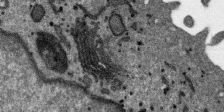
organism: Human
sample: Lung epithelial cells, uninfected (mock) control